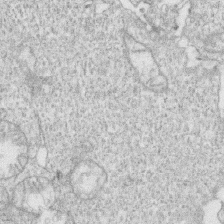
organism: Human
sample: HeLa cell HIV synapse